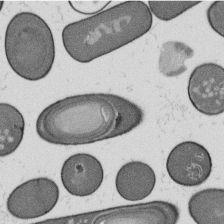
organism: B. subtilis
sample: Bacterial spore